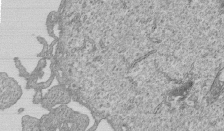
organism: Human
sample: MDA-MB-231 cells